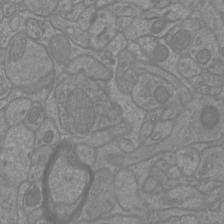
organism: Mouse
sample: Cortical neurons